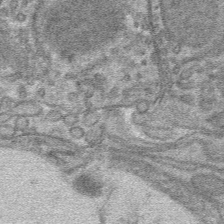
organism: Mouse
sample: Mouse hepatocytes